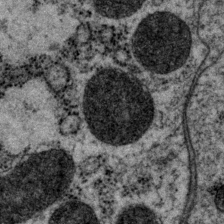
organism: P. pacificus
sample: Pharynx